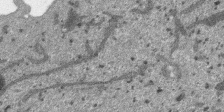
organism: Human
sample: Lung epithelial cells infected with SARS-CoV-2